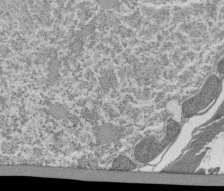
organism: Tetrahymena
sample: Cilia in tetrahymena